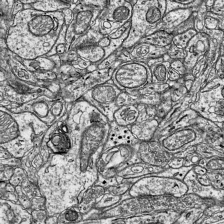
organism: Mouse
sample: Visual Cortex